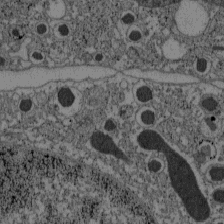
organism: C57BL Mouse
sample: Pancreatic islet